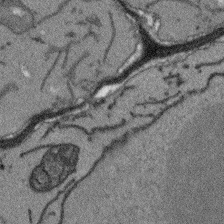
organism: Arabidopsis thaliana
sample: Root tip